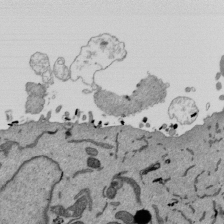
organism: Mouse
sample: ED-1 cell nuclei; centrioles